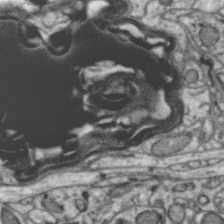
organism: Zebra finch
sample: Brain